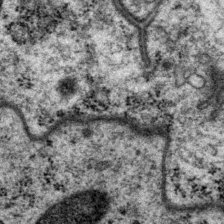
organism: P. pacificus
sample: Pharynx